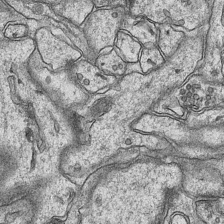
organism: Mouse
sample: CA1 Hippocampus